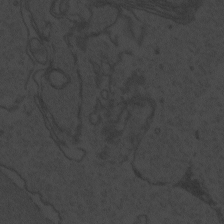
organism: Zebrafish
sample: Macrophage infected with Toxoplasma gondii